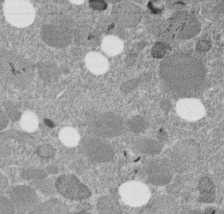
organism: C. elegans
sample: C. elegans embryo early stage